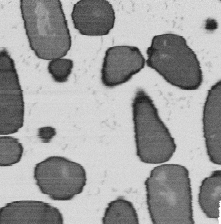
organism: B. subtilis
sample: Bacterial spore